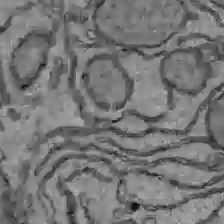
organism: C57BL Mouse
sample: Liver